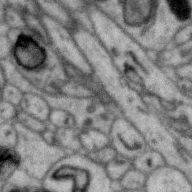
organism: Zebra finch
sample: Brain